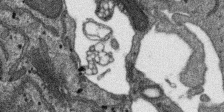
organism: Human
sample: Lung epithelial cells infected with SARS-CoV-2